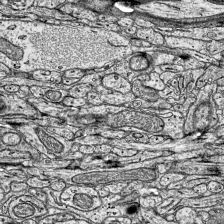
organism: Mouse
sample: Visual Cortex